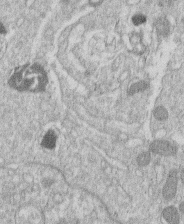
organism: Human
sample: Macrophage cells